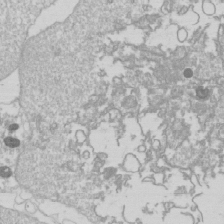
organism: Drosophila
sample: Cell division; meiosis; drosophila spermatocytes